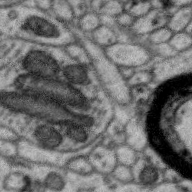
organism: Zebra finch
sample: Brain